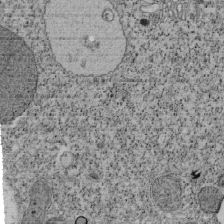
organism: Tetrahymena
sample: Cilia in tetrahymena